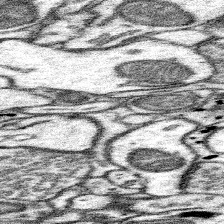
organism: Mouse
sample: Somatosensory cortex neuropil